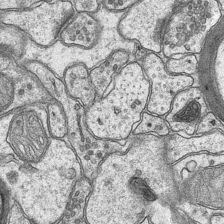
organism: Mouse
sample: CA1 Hippocampus